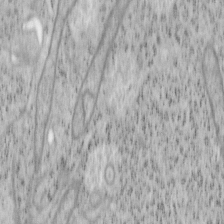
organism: Human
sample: HeLa cells